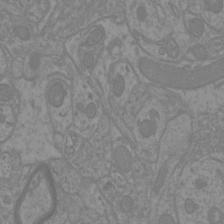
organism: Mouse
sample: Cortical neurons